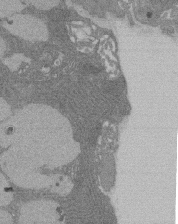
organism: Rat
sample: Salivary granule